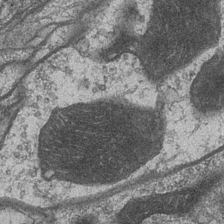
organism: Drosophila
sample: Optic medulla